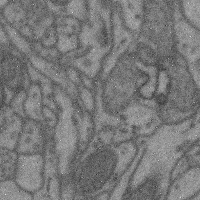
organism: Mouse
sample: Cerebral cortex